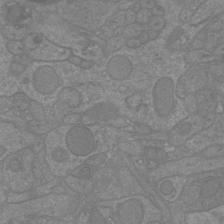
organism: Mouse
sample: Cortical neurons